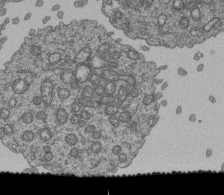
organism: Human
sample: Retinal organoid Rod and Cone cells